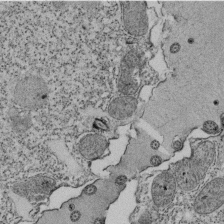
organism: Tetrahymena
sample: Cilia in tetrahymena